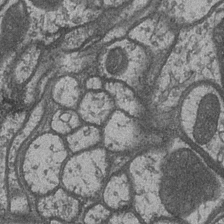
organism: Drosophila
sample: Optic medulla